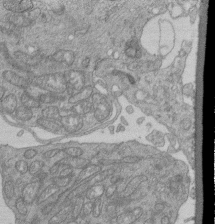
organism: Human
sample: Retinal organoid Rod and Cone cells